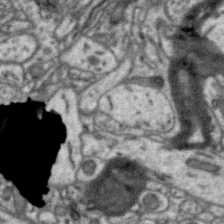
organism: Zebra finch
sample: Brain